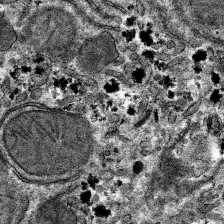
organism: Mouse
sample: Mouse hepatocytes